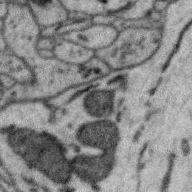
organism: Zebra finch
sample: Brain